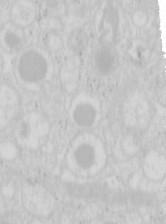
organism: Mouse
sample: Pancreas